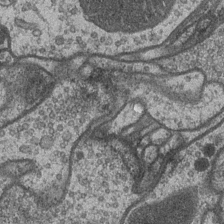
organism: Drosophila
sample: Optic medulla